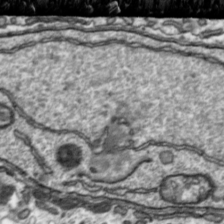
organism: Toxoplasma gondii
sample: Parasites in a vacuole inside a host cell